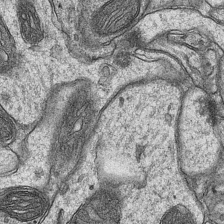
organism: Mouse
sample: CA1 Hippocampus